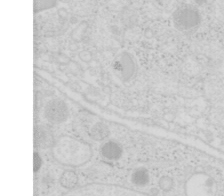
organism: Mouse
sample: Pancreas